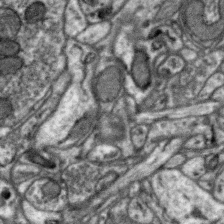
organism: Zebra finch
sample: Brain